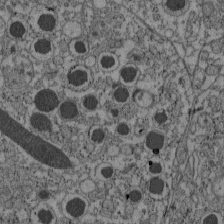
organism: C57BL Mouse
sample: Pancreatic islet